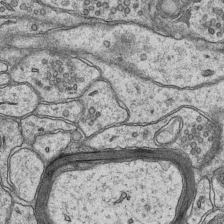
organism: Mouse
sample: CA1 Hippocampus